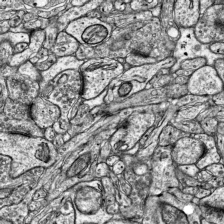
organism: Mouse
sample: Visual Cortex